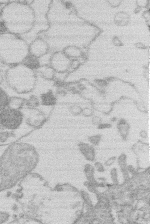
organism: Human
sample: Macrophage cells